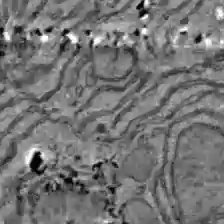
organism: C57BL Mouse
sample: Liver